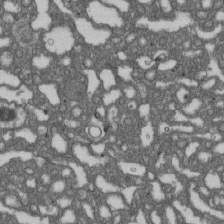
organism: Drosophila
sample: Nephrocyte